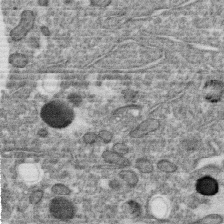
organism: C. elegans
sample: C. elegans oocyte; sperm cells